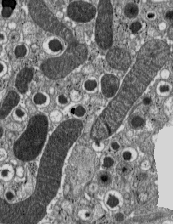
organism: C57BL Mouse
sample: Pancreatic islet